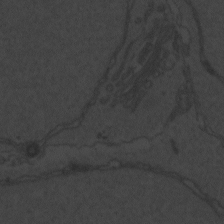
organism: Zebrafish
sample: Macrophage infected with Toxoplasma gondii